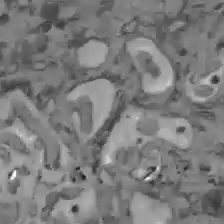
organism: C57BL Mouse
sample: Liver